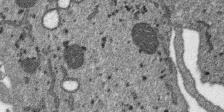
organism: Human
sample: Lung epithelial cells infected with SARS-CoV-2